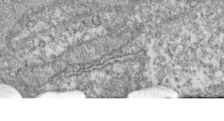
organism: Zebrafish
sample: Cilia; retinal pigment epithelium